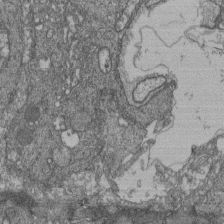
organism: Human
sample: Retinal organoid Rod and Cone cells